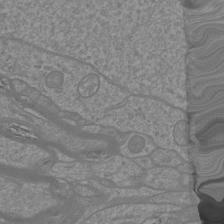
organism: Mouse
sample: Cortical neurons